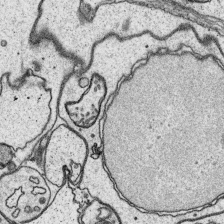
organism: Platynereis dumerilii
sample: Parapodia